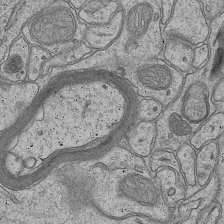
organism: Mouse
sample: CA1 Hippocampus